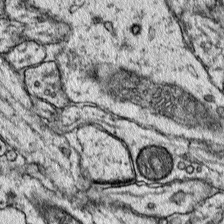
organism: Mouse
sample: Primary visual cortex